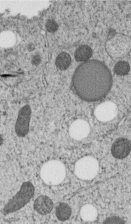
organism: C. elegans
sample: C. elegans embryo early stage